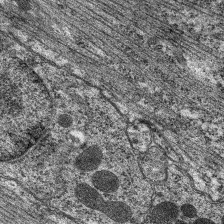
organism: C. elegans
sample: Pharynx